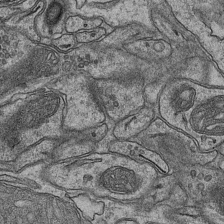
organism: Mouse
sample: CA1 Hippocampus